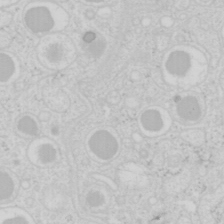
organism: Mouse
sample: Pancreas